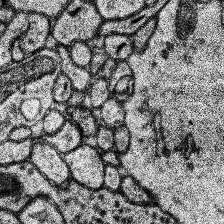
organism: Human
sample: Temporal Lobe